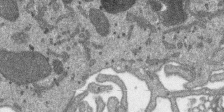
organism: Human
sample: Lung epithelial cells infected with SARS-CoV-2